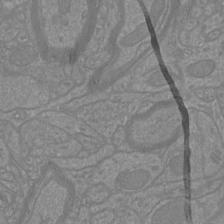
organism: Mouse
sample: Cortical neurons